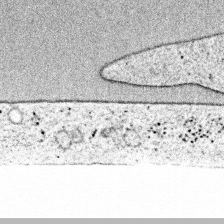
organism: Human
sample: HeLa cells